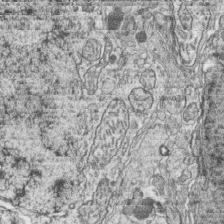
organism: Zebrafish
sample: synaptic ribbons in rod cells and cone cells